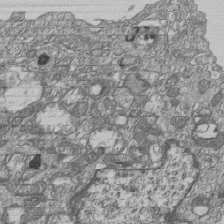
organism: Human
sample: MDA-MB-231 cells